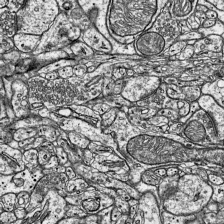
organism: Mouse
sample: Visual Cortex